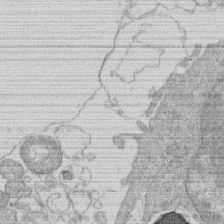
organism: Human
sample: Macrophage cells